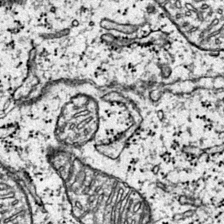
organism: Mouse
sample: Primary visual cortex